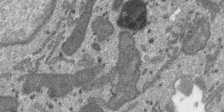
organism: Human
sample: Lung epithelial cells infected with SARS-CoV-2